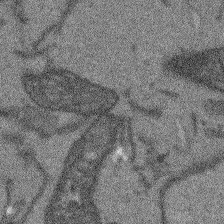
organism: Arabidopsis thaliana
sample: Root tip